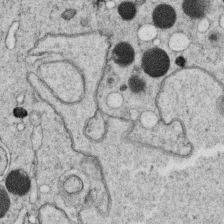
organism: C. elegans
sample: C. elegans oocyte; sperm cells